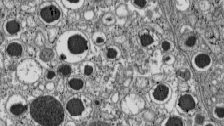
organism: C57BL Mouse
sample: Pancreatic islet